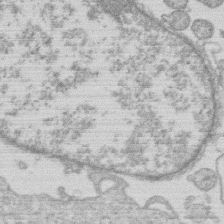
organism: Human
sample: Macrophage cells